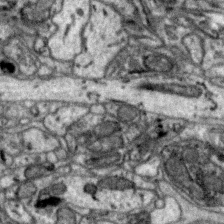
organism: Zebra finch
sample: Brain